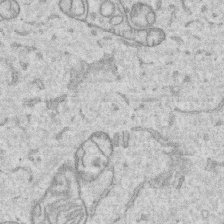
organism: Human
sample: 1205lu cells